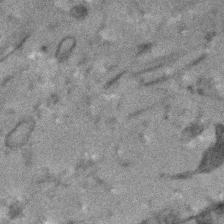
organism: Human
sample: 1205lu cells